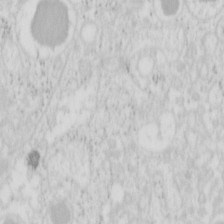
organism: Mouse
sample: Pancreas